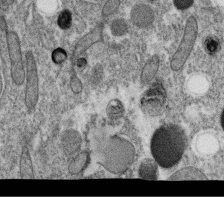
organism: C. elegans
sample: C. elegans oocyte; sperm cells